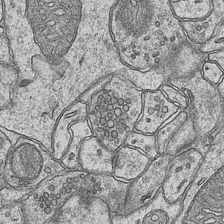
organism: Mouse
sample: CA1 Hippocampus